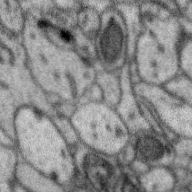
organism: Zebra finch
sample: Brain